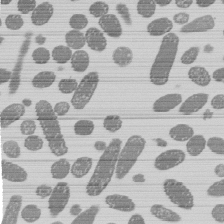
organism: E. coli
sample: Bacterial nucleoid